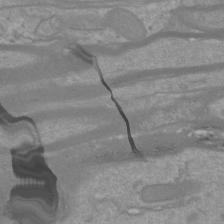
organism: Mouse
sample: Cortical neurons